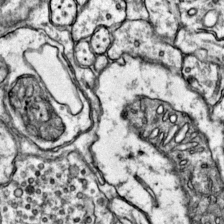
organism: Mouse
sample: Primary visual cortex